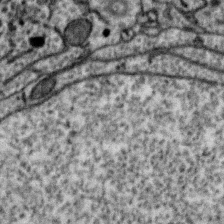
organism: Zebra finch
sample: Brain